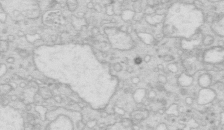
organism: Mouse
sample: Multiciliated cells